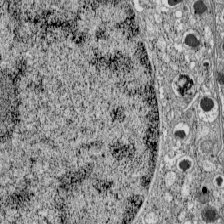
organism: C57BL Mouse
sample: Pancreatic islet